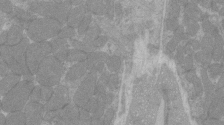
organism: C57BL Mouse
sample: Tibialis anterior muscle cell